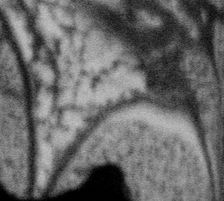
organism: Gemmata obscuriglobus